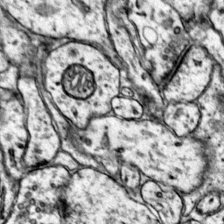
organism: Mouse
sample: Primary visual cortex